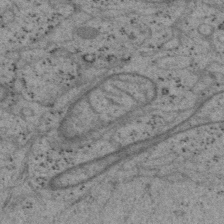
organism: Human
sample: HeLa cells